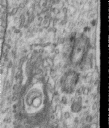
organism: Human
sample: Centriole in RPE cells